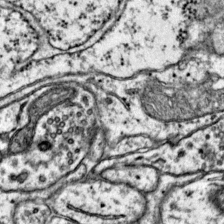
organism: Mouse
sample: Primary visual cortex